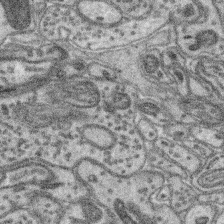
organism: Mouse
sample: Retina